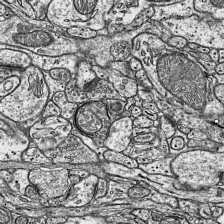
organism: Mouse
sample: Visual Cortex